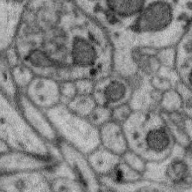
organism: Zebra finch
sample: Brain